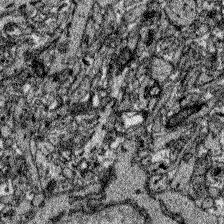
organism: Zebrafish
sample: Larval olfactory bulb